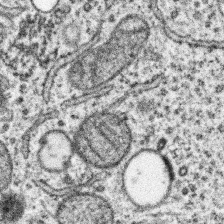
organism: Human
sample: HeLa cells